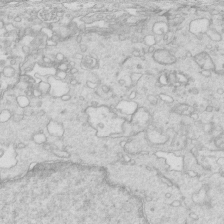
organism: Mouse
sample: Multiciliated cells